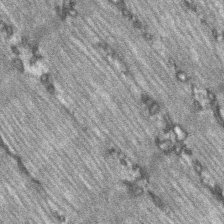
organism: C57BL Mouse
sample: Soleus